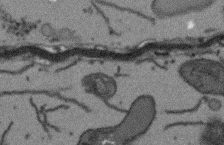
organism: Arabidopsis thaliana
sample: Root tip